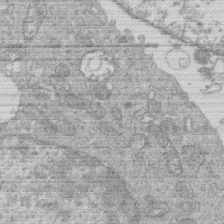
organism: Human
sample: Macrophage cells